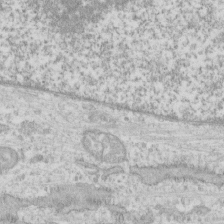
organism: Human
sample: CRL-1474